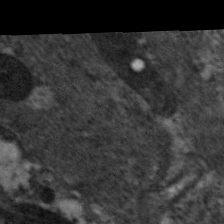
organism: C. elegans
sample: Pharynx